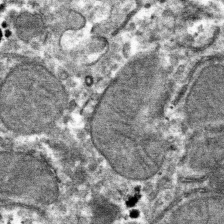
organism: Mouse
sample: Mouse hepatocytes